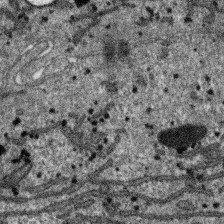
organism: Human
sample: Lung epithelial cells infected with SARS-CoV-2